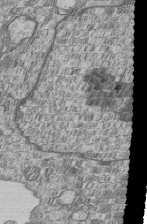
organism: Human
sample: MDA-MB-231 cells